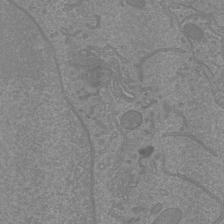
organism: Mouse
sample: Cortical neurons